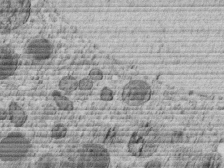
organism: C. elegans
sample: C. elegans embryo early stage